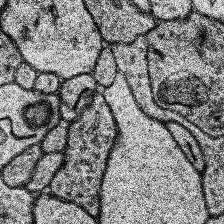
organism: Human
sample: Temporal Lobe